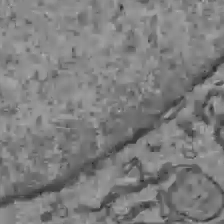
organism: C57BL Mouse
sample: Liver